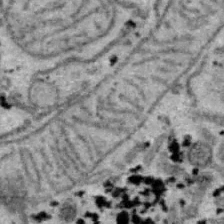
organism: Mouse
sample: Liver from an obese (ob/ob) mouse